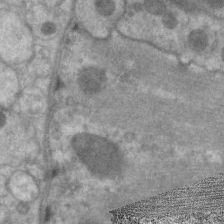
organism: C. elegans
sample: Pharynx